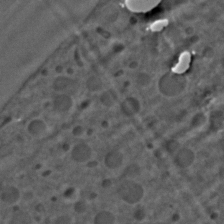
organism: C. elegans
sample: C. elegans embryo